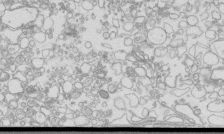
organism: Mouse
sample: Macrophages